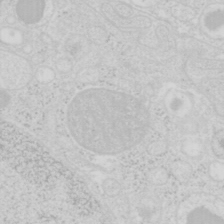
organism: Mouse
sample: Pancreas